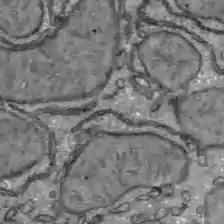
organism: C57BL Mouse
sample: Liver